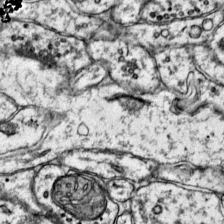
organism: Mouse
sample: Primary visual cortex